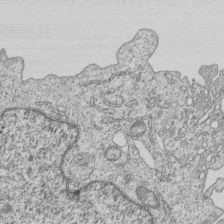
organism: Human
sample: MDA-MB-231 cells